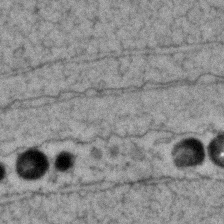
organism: Zebrafish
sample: Zebrafish embryo